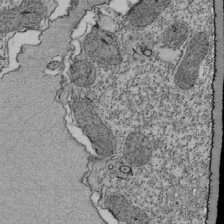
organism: Tetrahymena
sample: Cilia in tetrahymena